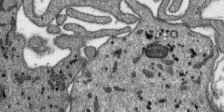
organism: Human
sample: Lung epithelial cells, uninfected (mock) control